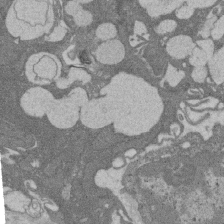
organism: Rat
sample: Salivary granule